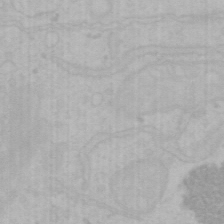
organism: Mouse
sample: Choroid plexus